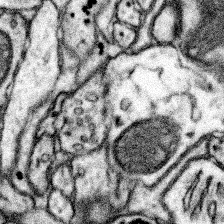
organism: Mouse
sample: Somatosensory cortex neuropil